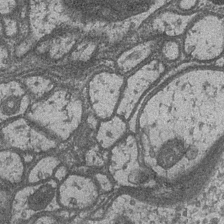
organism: Drosophila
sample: Optic medulla